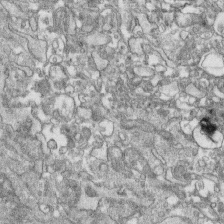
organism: Human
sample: CRL-1474